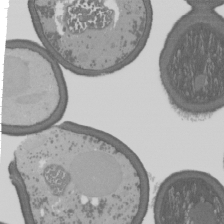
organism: S. cerevisiae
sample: Yeast cells